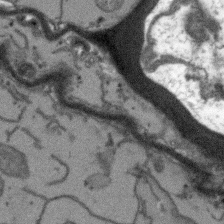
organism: Arabidopsis thaliana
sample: Root tip